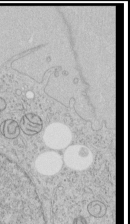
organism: Human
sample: Mitochondria in HCT116 cells